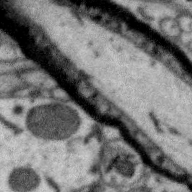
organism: Zebra finch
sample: Brain